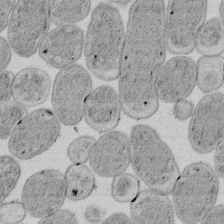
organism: E. coli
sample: Bacterial nucleoid